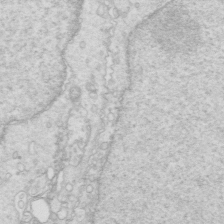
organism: Mouse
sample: Multiciliated cells